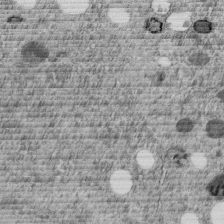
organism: C. elegans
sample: C. elegans embryo early stage